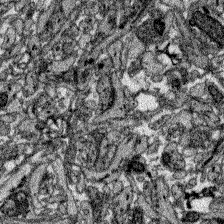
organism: Zebrafish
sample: Larval olfactory bulb